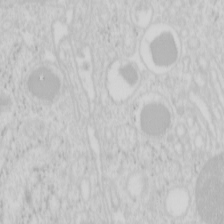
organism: Mouse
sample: Pancreas